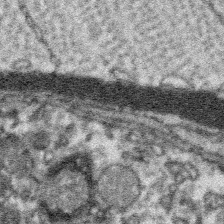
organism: Platynereis dumerilii